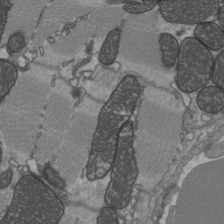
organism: C57BL Mouse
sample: Heart